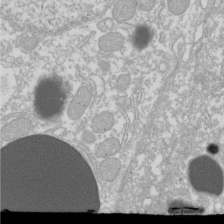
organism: Xenopus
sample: Cilia; centrioles in frog embryo cells